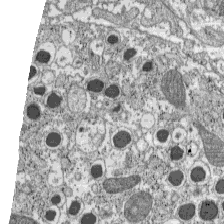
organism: C57BL Mouse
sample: Pancreatic islet